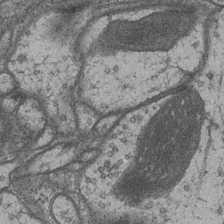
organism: Drosophila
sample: Optic medulla